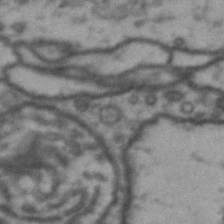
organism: Drosophila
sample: Brain